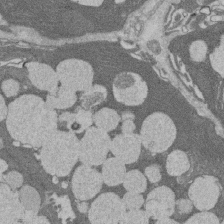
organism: Rat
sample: Salivary granule